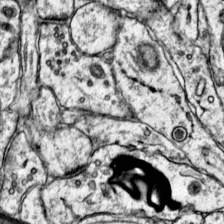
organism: Mouse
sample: Primary visual cortex